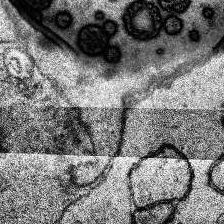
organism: Human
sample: Temporal Lobe